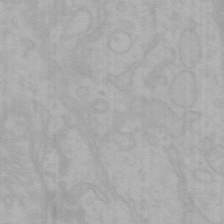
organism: Mouse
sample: Choroid plexus